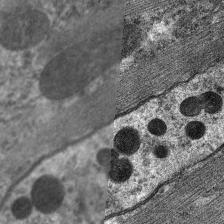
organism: C. elegans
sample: Pharynx